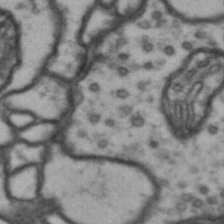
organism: Drosophila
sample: Brain